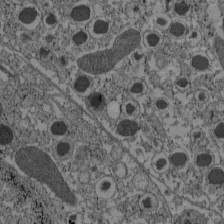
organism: C57BL Mouse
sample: Pancreatic islet